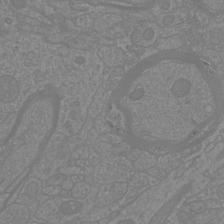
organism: Mouse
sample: Cortical neurons